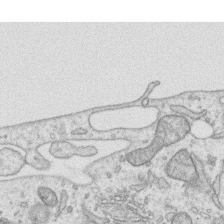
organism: Human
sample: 1205lu cells